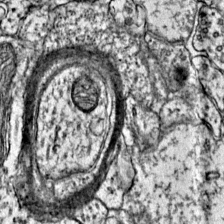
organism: Mouse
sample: Primary visual cortex